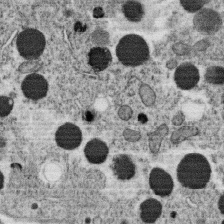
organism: C. elegans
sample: C. elegans oocyte; sperm cells